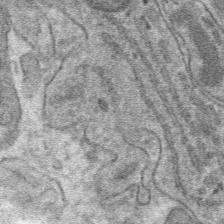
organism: Mouse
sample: Mouse hepatocytes